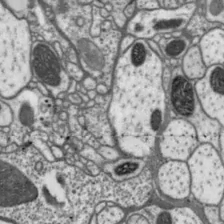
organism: Drosophila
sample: Protocerebral bridge